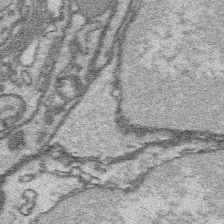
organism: Platynereis dumerilii